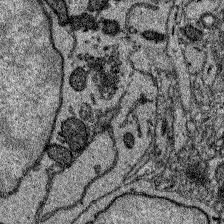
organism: Zebrafish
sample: Larval olfactory bulb